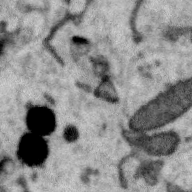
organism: Zebra finch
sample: Brain